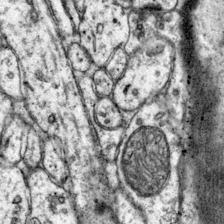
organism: Mouse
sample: Primary visual cortex